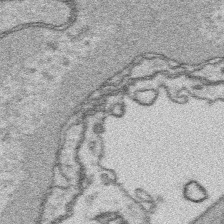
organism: Platynereis dumerilii